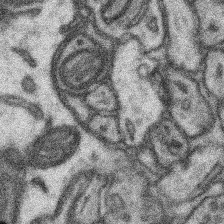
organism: Mouse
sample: Somatosensory cortex neuropil